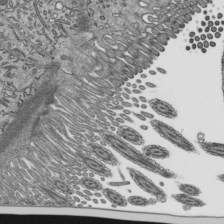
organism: Mouse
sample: Mouse epididymis efferent ductule cilia